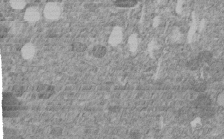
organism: C. elegans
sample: C. elegans embryo early stage